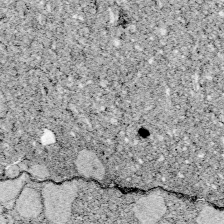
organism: Zebrafish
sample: Whole-Brain